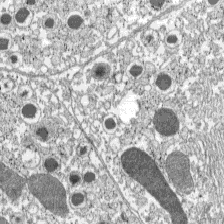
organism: C57BL Mouse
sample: Pancreatic islet